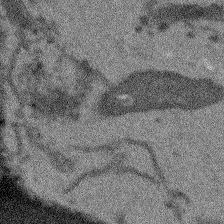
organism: Arabidopsis thaliana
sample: Root tip